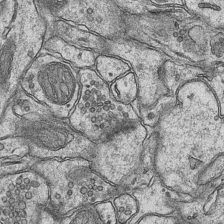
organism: Mouse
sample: CA1 Hippocampus